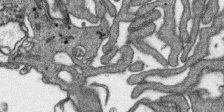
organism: Human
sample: Lung epithelial cells, uninfected (mock) control